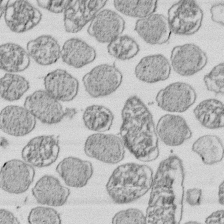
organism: E. coli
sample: Bacterial nucleoid